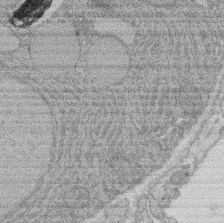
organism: Rat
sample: Salivary granule